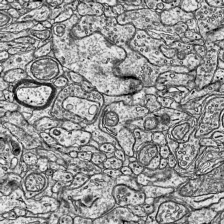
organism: Mouse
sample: Visual Cortex